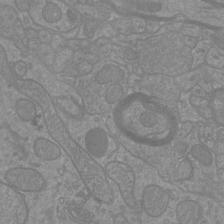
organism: Mouse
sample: Cortical neurons